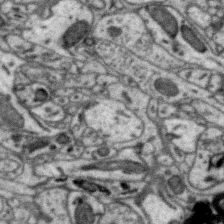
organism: Zebra finch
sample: Brain